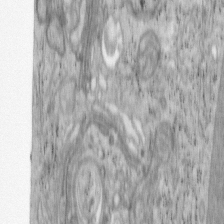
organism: Human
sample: HeLa cells